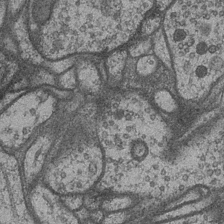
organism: Drosophila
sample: Optic medulla